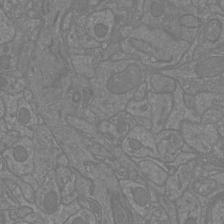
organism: Mouse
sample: Cortical neurons